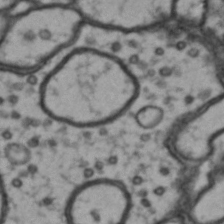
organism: Drosophila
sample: Brain